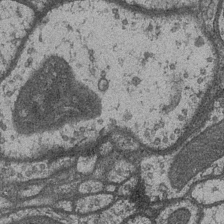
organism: Drosophila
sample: Optic medulla